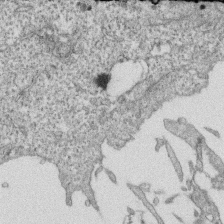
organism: Human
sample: HeLa cell HIV synapse